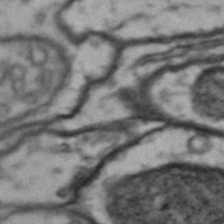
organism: Drosophila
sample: Brain